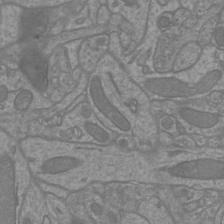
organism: Mouse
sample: Cortical neurons